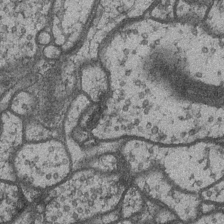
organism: Drosophila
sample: Optic medulla